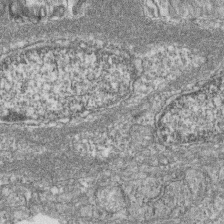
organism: Zebrafish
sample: Cilia; retinal pigment epithelium